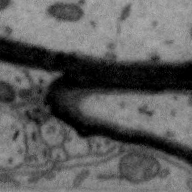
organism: Zebra finch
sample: Brain